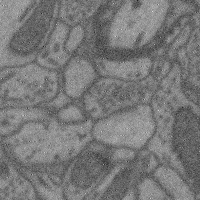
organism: Mouse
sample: Cerebral cortex